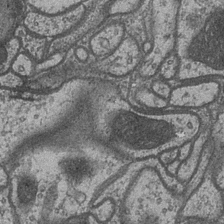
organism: Drosophila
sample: Optic medulla